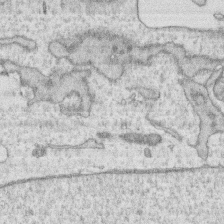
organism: Human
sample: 1205lu cells